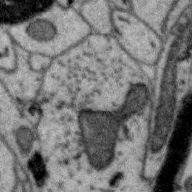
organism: Zebra finch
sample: Brain